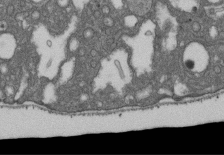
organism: Drosophila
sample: Nephrocyte